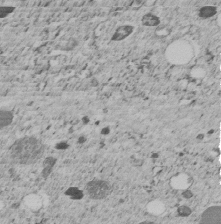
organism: C. elegans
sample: C. elegans embryo early stage